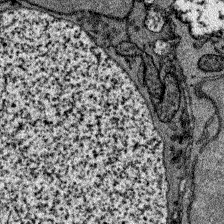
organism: Zebrafish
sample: Larval olfactory bulb